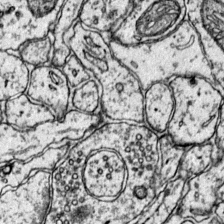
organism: Mouse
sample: Primary visual cortex